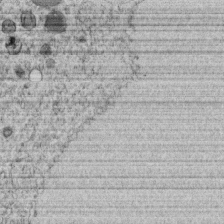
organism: C. elegans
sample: C. elegans embryo early stage